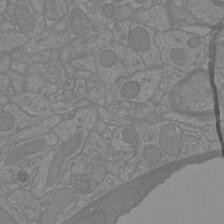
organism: Mouse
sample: Cortical neurons